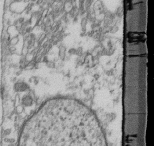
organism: Mouse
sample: Cilia; retinal pigment epithelium